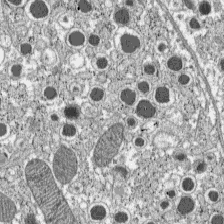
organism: C57BL Mouse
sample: Pancreatic islet